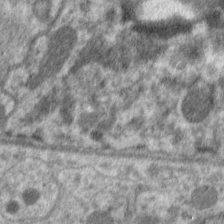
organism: C. elegans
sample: Pharynx